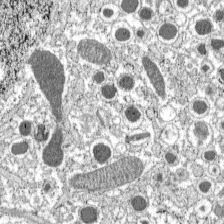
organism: C57BL Mouse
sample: Pancreatic islet